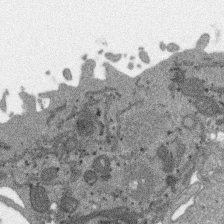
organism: Human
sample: Lung epithelial cells infected with SARS-CoV-2